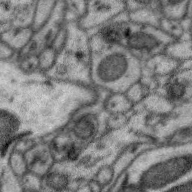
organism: Zebra finch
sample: Brain